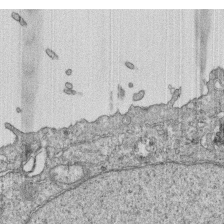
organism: Human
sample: HeLa cell HIV synapse